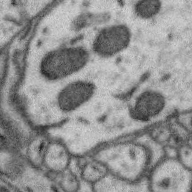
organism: Zebra finch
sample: Brain